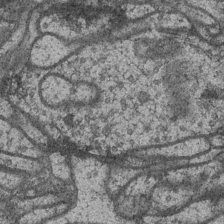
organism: Drosophila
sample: Optic medulla